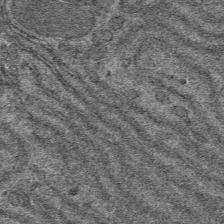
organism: Mouse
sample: Mouse hepatocytes